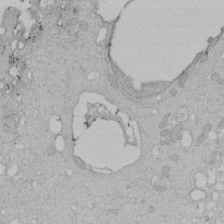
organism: Human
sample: Melanocyte Keratinocyte synapse skin construct